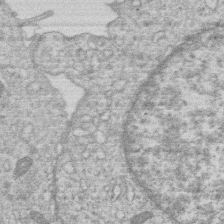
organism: Human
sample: Macrophage cells